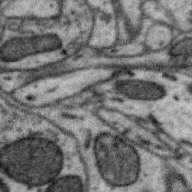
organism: Zebra finch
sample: Brain